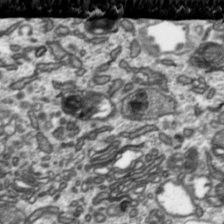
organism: Toxoplasma gondii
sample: Parasites in a vacuole inside a host cell